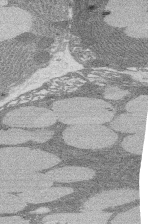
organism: Rat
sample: Salivary granule